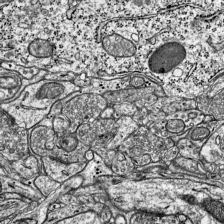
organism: Mouse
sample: Visual Cortex